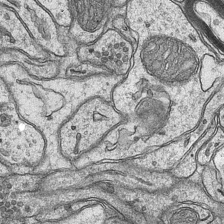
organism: Mouse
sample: CA1 Hippocampus